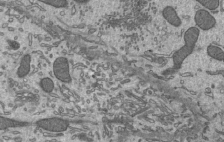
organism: Mouse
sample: Mouse epididymis efferent ductule cilia